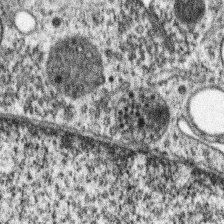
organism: Human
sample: HeLa cells